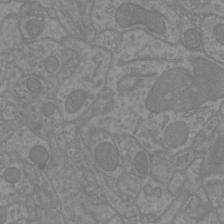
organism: Mouse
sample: Cortical neurons